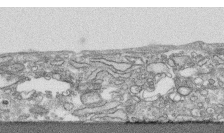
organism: Human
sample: CRL-1474